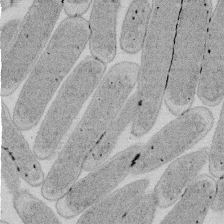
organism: E. coli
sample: Bacterial nucleoid